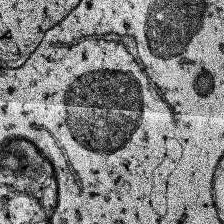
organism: Human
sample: Temporal Lobe